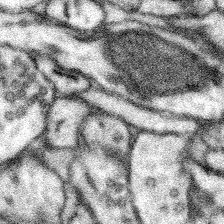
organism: Mouse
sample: Somatosensory cortex neuropil